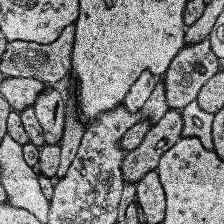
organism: Human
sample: Temporal Lobe